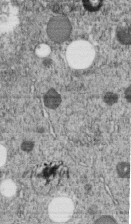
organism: C. elegans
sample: C. elegans embryo early stage